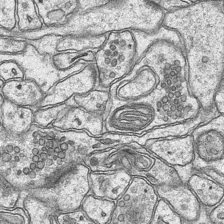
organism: Mouse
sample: CA1 Hippocampus